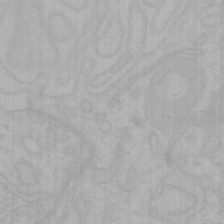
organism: Mouse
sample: Choroid plexus